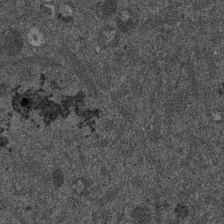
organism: Mouse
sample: Dividing mouse embryo 1 cell stage